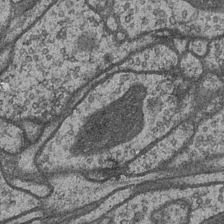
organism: Drosophila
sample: Optic medulla